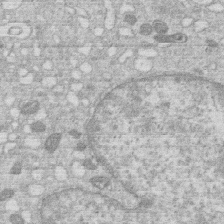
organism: Human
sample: Macrophage cells